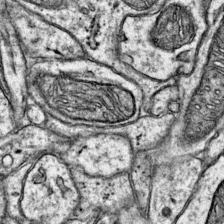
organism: Mouse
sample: Primary visual cortex